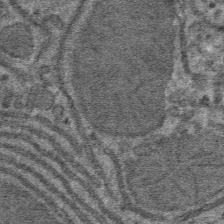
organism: Mouse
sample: Mouse hepatocytes